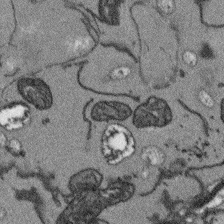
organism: Arabidopsis thaliana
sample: Root tip